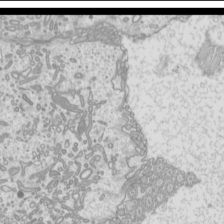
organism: Mouse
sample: Cilia; mouse epididymis